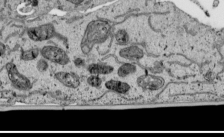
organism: Human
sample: Mitochondria in HCT116 cells